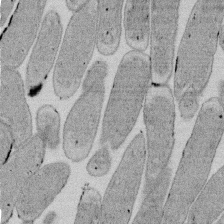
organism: E. coli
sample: Bacterial nucleoid